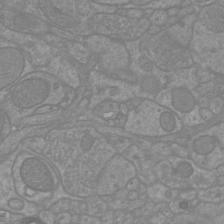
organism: Mouse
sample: Cortical neurons